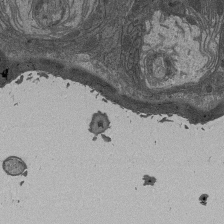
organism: Drosophila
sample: Antenna